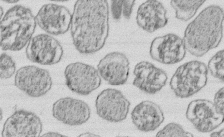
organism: E. coli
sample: Bacterial nucleoid